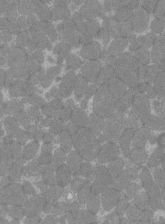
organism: C57BL Mouse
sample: Tibialis anterior muscle cell